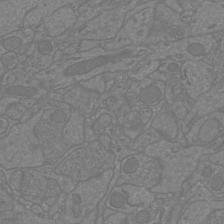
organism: Mouse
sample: Cortical neurons